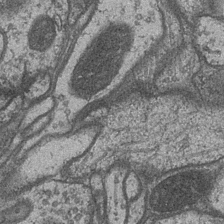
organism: Drosophila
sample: Optic medulla